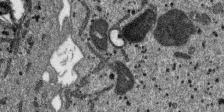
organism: Human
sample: Lung epithelial cells infected with SARS-CoV-2